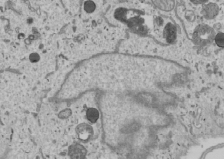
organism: Human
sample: Mitochondria in U2OS cells